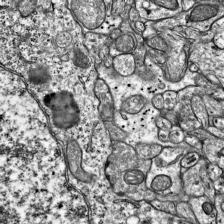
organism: Mouse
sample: Visual Cortex